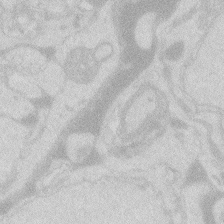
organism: Zebrafish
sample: Macrophage